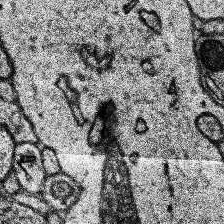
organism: Human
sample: Temporal Lobe